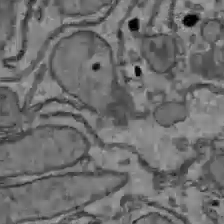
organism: C57BL Mouse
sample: Liver